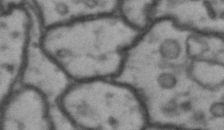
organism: Drosophila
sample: Brain